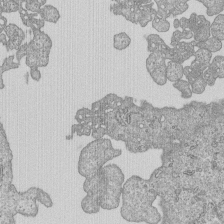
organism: Human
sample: MDA-MB-231 cells